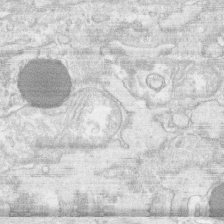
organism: Human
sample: CRL-1474